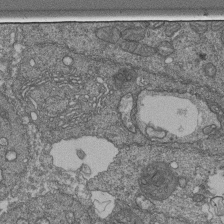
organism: Human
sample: Retinal organoid Rod and Cone cells